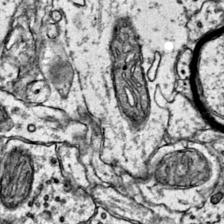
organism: Mouse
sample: Primary visual cortex